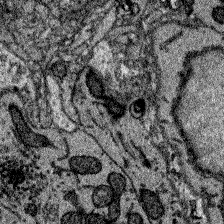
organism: Zebrafish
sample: Larval olfactory bulb